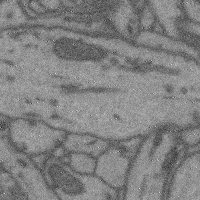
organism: Mouse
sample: Cerebral cortex